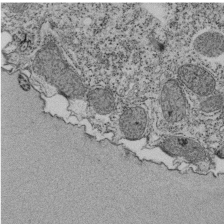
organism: Tetrahymena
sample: Cilia in tetrahymena